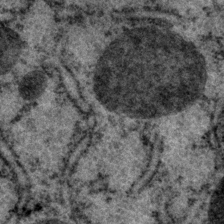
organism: P. pacificus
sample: Pharynx